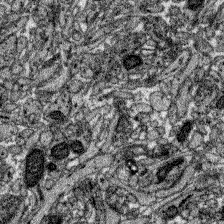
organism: Zebrafish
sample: Larval olfactory bulb